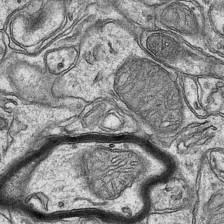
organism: Mouse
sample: CA1 Hippocampus